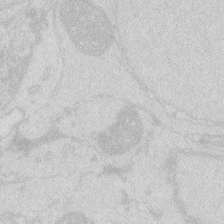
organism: Zebrafish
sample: Macrophage